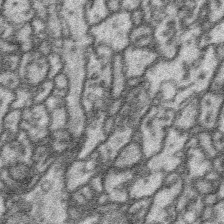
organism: Platynereis dumerilii